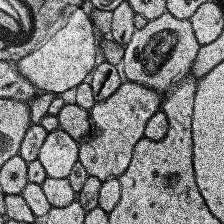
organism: Human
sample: Temporal Lobe